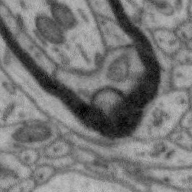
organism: Zebra finch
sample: Brain